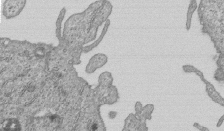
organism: Human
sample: MDA-MB-231 cells